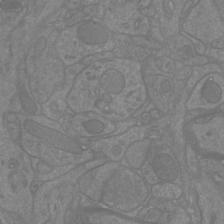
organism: Mouse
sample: Cortical neurons